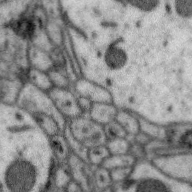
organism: Zebra finch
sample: Brain